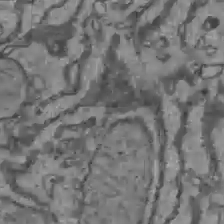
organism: C57BL Mouse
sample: Liver